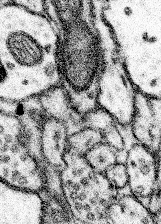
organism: Mouse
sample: Somatosensory cortex neuropil